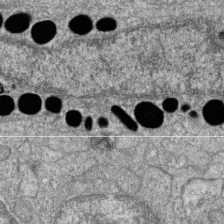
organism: Zebrafish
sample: Cilia; retinal pigment epithelium